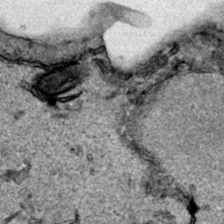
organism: Human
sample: Mitochondria in HCT116 cells